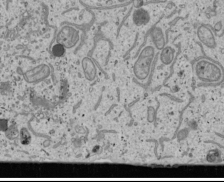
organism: Human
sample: Mitochondria in U2OS cells